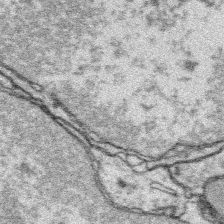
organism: Platynereis dumerilii